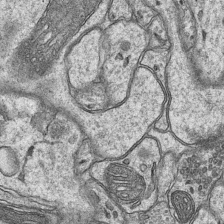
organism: Mouse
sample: CA1 Hippocampus